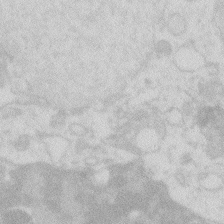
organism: Zebrafish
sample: Macrophage